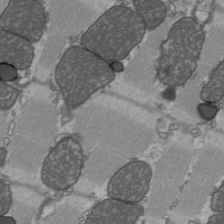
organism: C57BL Mouse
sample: Heart